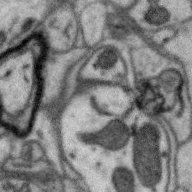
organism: Zebra finch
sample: Brain